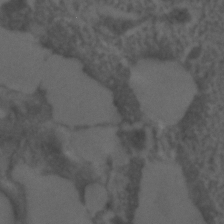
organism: C. elegans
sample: C. elegans embryo